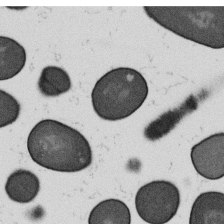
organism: B. subtilis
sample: Bacterial spore